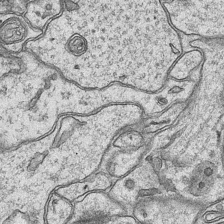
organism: Mouse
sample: CA1 Hippocampus